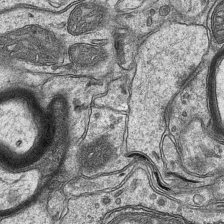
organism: Mouse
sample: CA1 Hippocampus